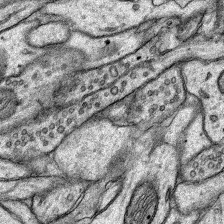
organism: Rat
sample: Hippocampus